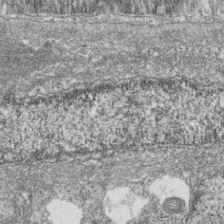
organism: Zebrafish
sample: Cilia; retinal pigment epithelium